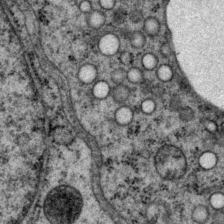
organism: P. pacificus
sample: Pharynx